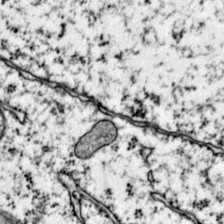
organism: Mouse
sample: Primary visual cortex